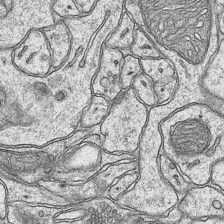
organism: Mouse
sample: CA1 Hippocampus